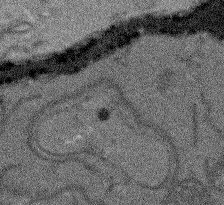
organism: Arabidopsis thaliana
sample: Root tip